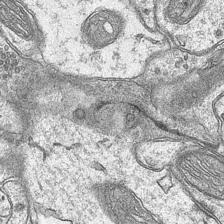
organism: Mouse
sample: CA1 Hippocampus